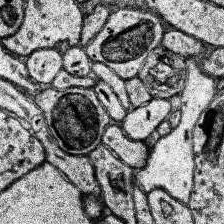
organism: Human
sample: Temporal Lobe